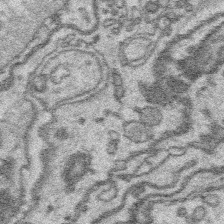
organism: Platynereis dumerilii